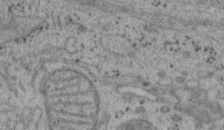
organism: Human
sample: HeLa cells